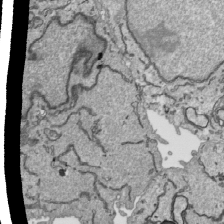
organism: Human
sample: Mitochondria in HCT116 cells